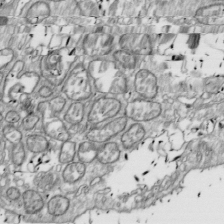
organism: Drosophila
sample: Cell division; meiosis; drosophila spermatocytes